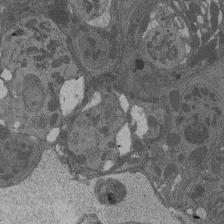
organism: Drosophila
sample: Antenna